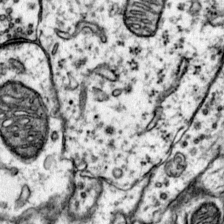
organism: Mouse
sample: Primary visual cortex